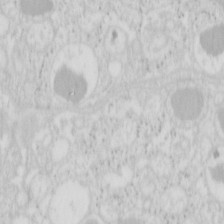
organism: Mouse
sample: Pancreas